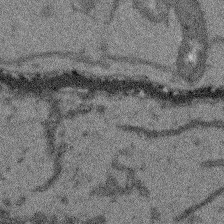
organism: Arabidopsis thaliana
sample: Root tip